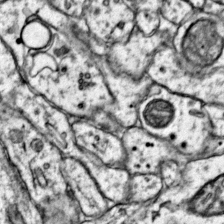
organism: Mouse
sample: Primary visual cortex